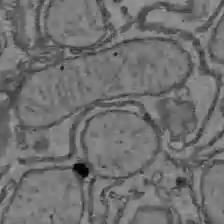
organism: C57BL Mouse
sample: Liver